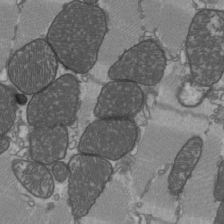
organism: C57BL Mouse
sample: Heart